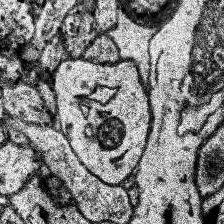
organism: Human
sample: Temporal Lobe